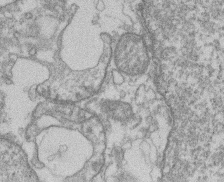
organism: Mouse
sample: T cell stromal cell synapse